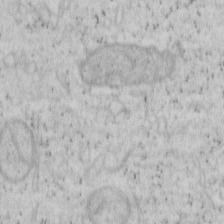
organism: Human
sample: HeLa cells